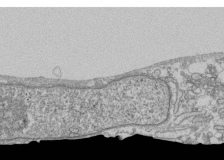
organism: Human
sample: Fibroblast cells